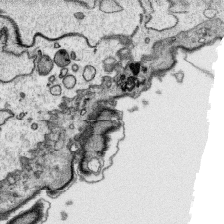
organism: Platynereis dumerilii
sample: Parapodia